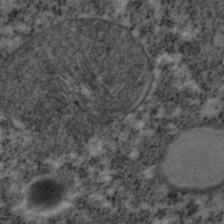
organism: C. elegans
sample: C. elegans embryo